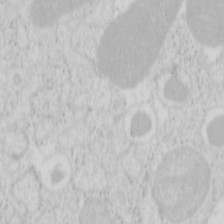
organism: Mouse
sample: Pancreas